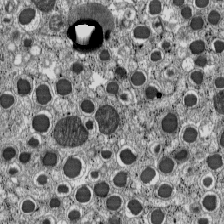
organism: C57BL Mouse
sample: Pancreatic islet